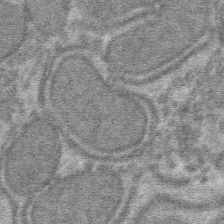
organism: Mouse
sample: Mouse hepatocytes